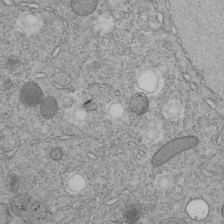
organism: C. elegans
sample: C. elegans embryo early stage